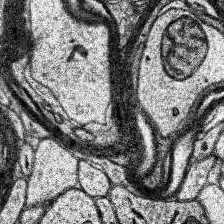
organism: Human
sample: Temporal Lobe